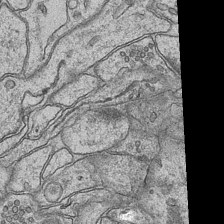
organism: Mouse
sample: CA1 Hippocampus